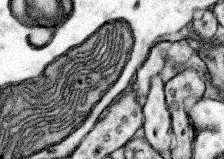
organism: Mouse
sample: Somatosensory cortex neuropil